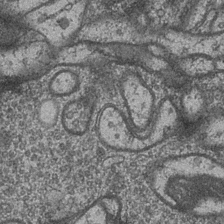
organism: Drosophila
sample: Optic medulla